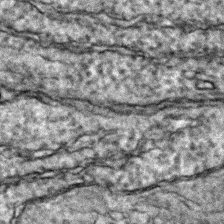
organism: Zebrafish